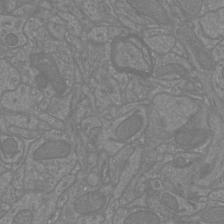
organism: Mouse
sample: Cortical neurons